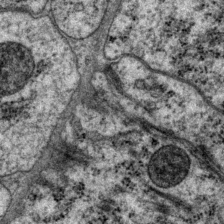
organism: P. pacificus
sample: Pharynx